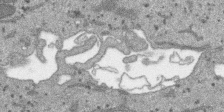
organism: Human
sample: Lung epithelial cells infected with SARS-CoV-2